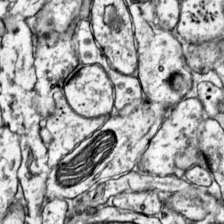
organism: Mouse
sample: Primary visual cortex